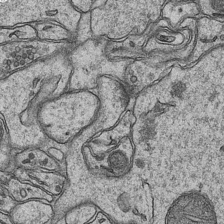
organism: Mouse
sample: CA1 Hippocampus